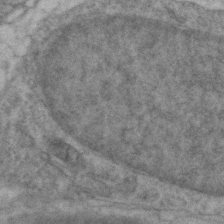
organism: Zebrafish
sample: Zebrafish embryo